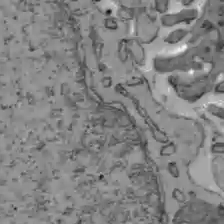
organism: C57BL Mouse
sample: Liver